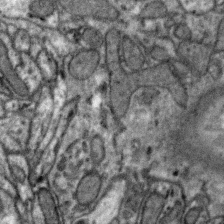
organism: Zebra finch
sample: Brain